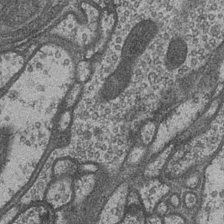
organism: Drosophila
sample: Optic medulla